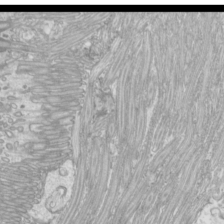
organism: Mouse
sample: Cilia; mouse epididymis